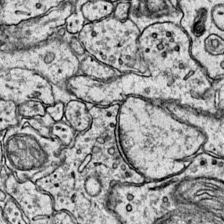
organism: Mouse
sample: Primary visual cortex